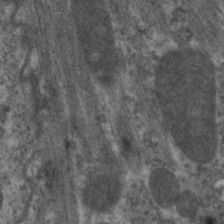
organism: C. elegans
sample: Pharynx